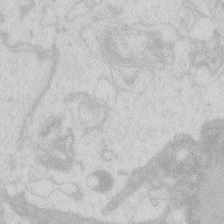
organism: Zebrafish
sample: Macrophage